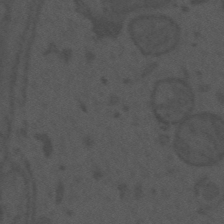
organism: Mouse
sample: Suprachiasmatic nucleus